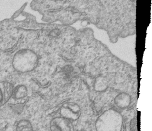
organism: Human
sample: MDA-MB-231 cells